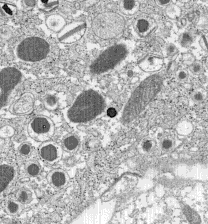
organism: C57BL Mouse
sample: Pancreatic islet